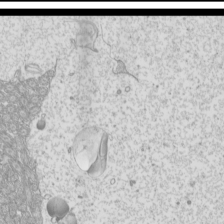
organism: Mouse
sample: Cilia; mouse epididymis